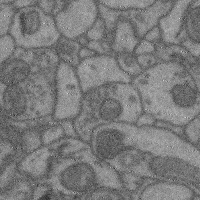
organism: Mouse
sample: Cerebral cortex